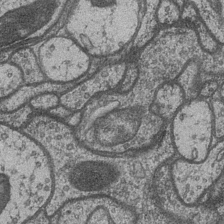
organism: Drosophila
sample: Optic medulla